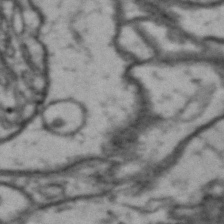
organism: Drosophila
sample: Brain